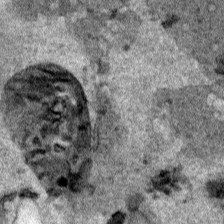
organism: Human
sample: Mitochondria in HCT116 cells